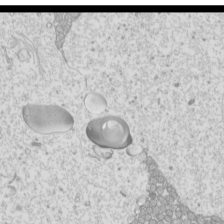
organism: Mouse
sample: Cilia; mouse epididymis